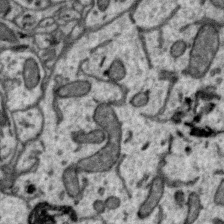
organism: Zebra finch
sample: Brain